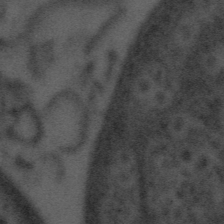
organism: Tuwongella immobilis